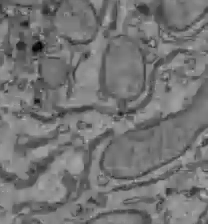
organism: C57BL Mouse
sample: Liver